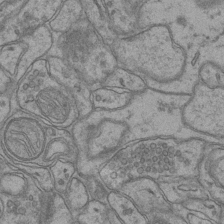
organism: Mouse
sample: CA1 Hippocampus